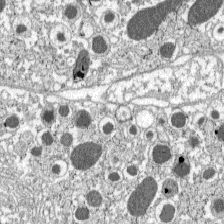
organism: C57BL Mouse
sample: Pancreatic islet